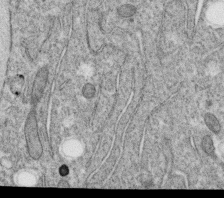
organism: C. elegans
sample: C. elegans oocyte; sperm cells